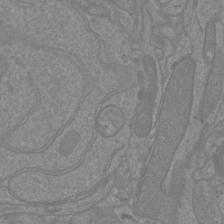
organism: Mouse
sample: Cortical neurons